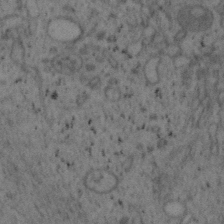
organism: Human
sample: HeLa cells